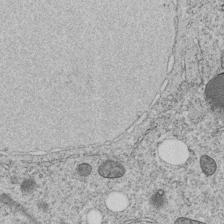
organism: C. elegans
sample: C. elegans embryo early stage